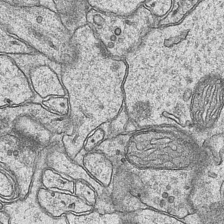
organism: Mouse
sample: CA1 Hippocampus